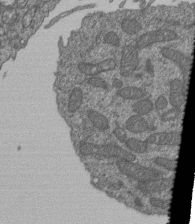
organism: Human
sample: Retinal organoid Rod and Cone cells